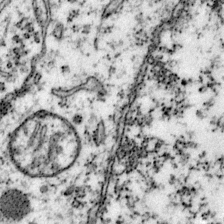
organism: Mouse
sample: Primary visual cortex